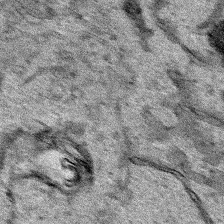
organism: Human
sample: Mitochondria in HCT116 cells